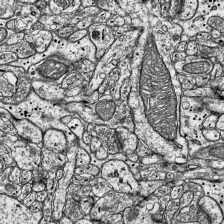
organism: Mouse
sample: Visual Cortex